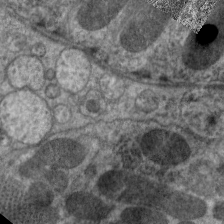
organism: C. elegans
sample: Pharynx